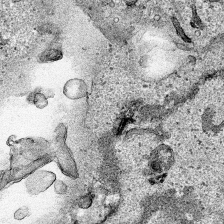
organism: Human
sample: Mitochondria in HCT116 cells